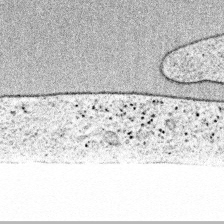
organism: Human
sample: HeLa cells